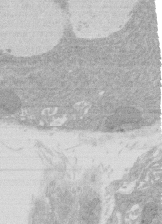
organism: Rat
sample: Salivary granule